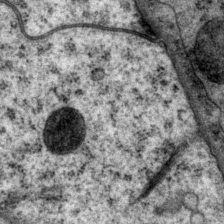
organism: P. pacificus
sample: Pharynx